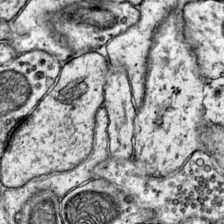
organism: Mouse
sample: Primary visual cortex